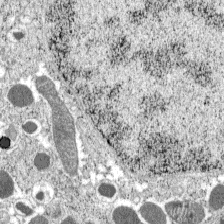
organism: C57BL Mouse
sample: Pancreatic islet